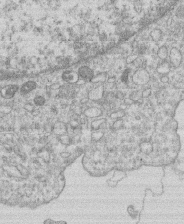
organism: Human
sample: Macrophage cells